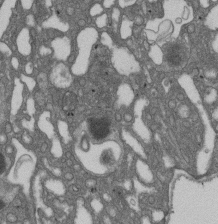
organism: Drosophila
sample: Nephrocyte